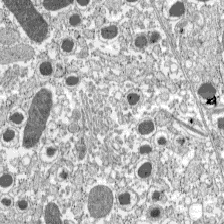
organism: C57BL Mouse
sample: Pancreatic islet